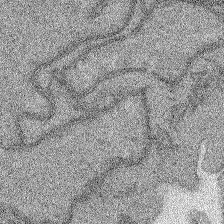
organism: Human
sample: HeLa cells